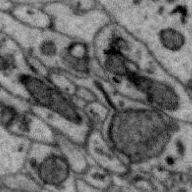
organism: Zebra finch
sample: Brain